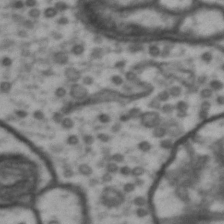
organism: Drosophila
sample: Brain